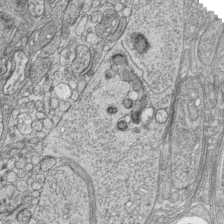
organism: Zebrafish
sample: synaptic ribbons in rod cells and cone cells